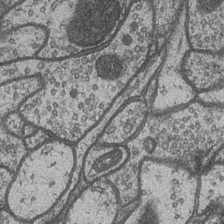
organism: Drosophila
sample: Optic medulla